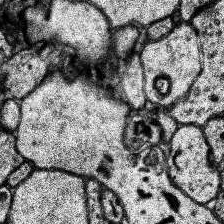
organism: Human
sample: Temporal Lobe